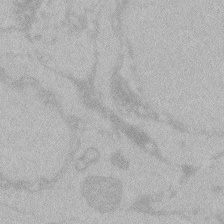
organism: Zebrafish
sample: Macrophage infected with Toxoplasma gondii